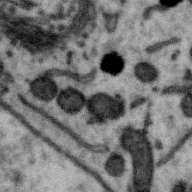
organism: Zebra finch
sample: Brain